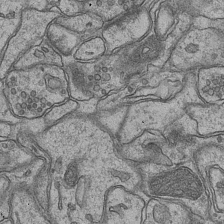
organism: Mouse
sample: CA1 Hippocampus